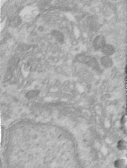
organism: Human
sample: Centriole in RPE cells